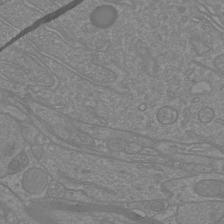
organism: Mouse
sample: Cortical neurons